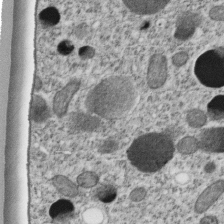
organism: C. elegans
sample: C. elegans embryo early stage